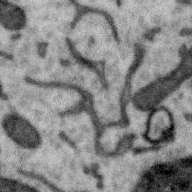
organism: Zebra finch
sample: Brain